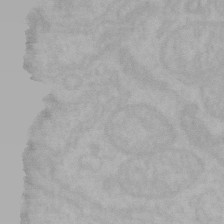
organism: Mouse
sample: Choroid plexus